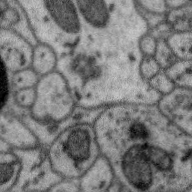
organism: Zebra finch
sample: Brain